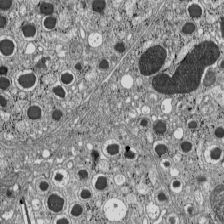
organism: C57BL Mouse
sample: Pancreatic islet